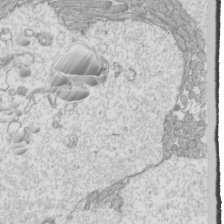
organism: Mouse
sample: Cilia; mouse epididymis